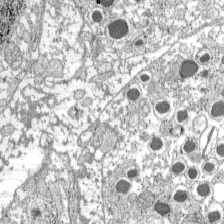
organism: C57BL Mouse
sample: Pancreatic islet